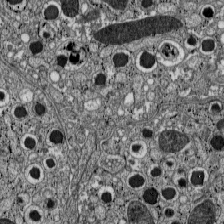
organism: C57BL Mouse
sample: Pancreatic islet